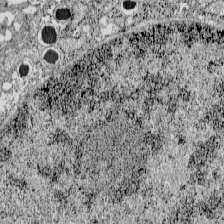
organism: C57BL Mouse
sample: Pancreatic islet